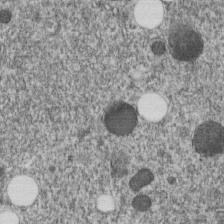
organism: C. elegans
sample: C. elegans embryo early stage